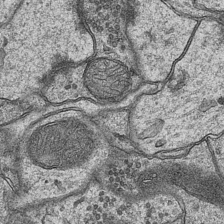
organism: Mouse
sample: CA1 Hippocampus